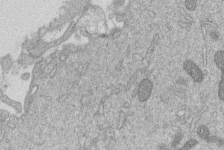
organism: Human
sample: Macrophage cells